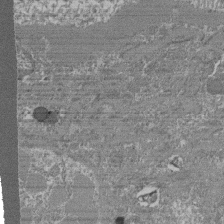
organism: Mouse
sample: Glomerulus